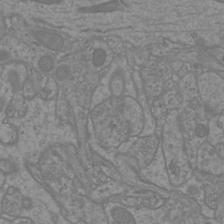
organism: Mouse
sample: Cortical neurons